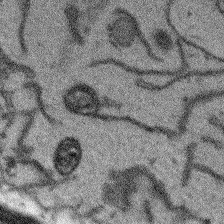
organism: Arabidopsis thaliana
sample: Root tip